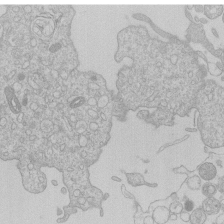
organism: Human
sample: Macrophage cells